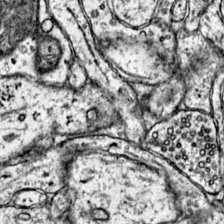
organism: Mouse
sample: Primary visual cortex